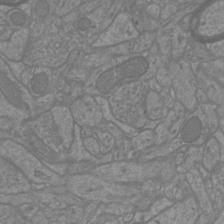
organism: Mouse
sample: Cortical neurons